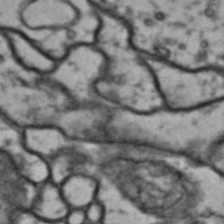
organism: Drosophila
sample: Brain